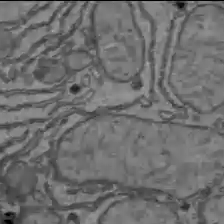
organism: C57BL Mouse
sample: Liver